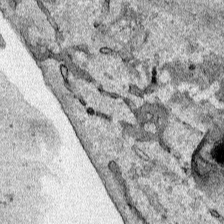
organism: Human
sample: Mitochondria in HCT116 cells